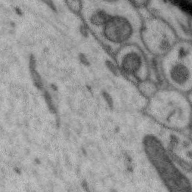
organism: Zebra finch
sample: Brain